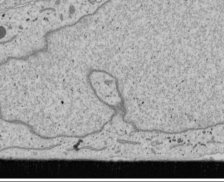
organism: Human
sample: Mitochondria in U2OS cells